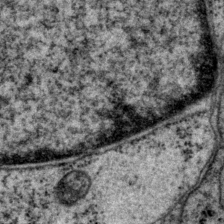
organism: P. pacificus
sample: Pharynx